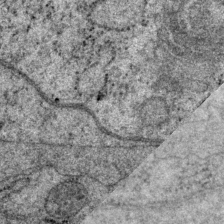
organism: P. pacificus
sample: Pharynx